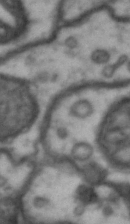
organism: Drosophila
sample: Brain